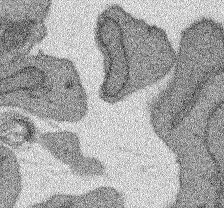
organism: Human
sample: HeLa cells